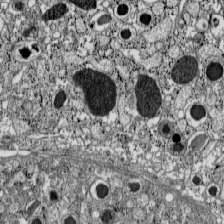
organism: C57BL Mouse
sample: Pancreatic islet